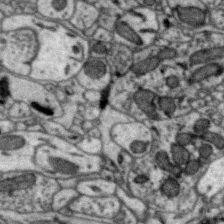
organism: Zebra finch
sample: Brain